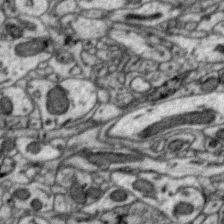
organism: Zebra finch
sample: Brain